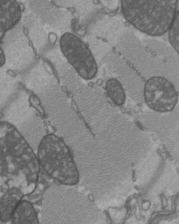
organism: C57BL Mouse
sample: Heart